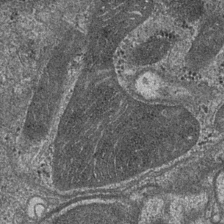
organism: Drosophila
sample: Optic medulla